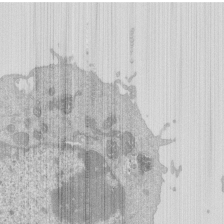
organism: Mouse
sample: Activated Pmel transgenic CD8+ T Cells